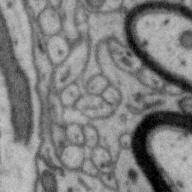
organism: Zebra finch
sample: Brain